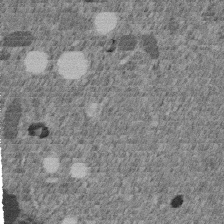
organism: C. elegans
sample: C. elegans embryo early stage